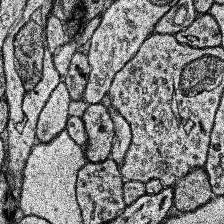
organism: Human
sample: Temporal Lobe